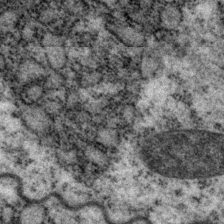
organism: P. pacificus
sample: Pharynx